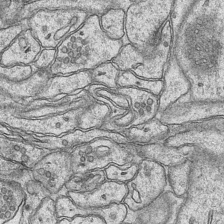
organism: Mouse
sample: CA1 Hippocampus